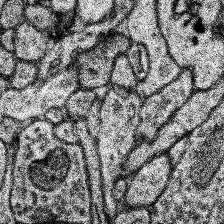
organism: Human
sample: Temporal Lobe